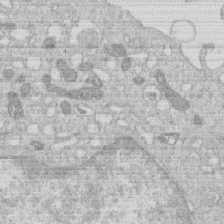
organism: Human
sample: Macrophage cells